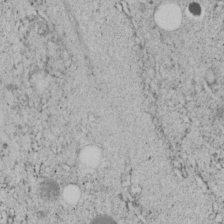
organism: C. elegans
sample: C. elegans embryo early stage